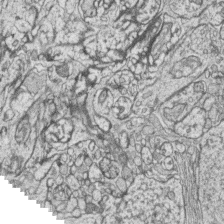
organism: Zebrafish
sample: synaptic ribbons in rod cells and cone cells